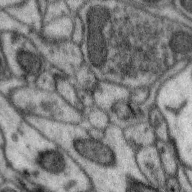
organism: Zebra finch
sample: Brain